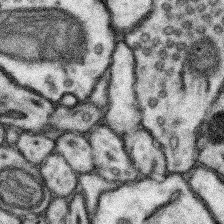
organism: Mouse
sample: Somatosensory cortex neuropil